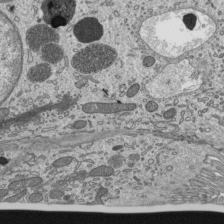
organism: Mouse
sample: Mouse epididymis efferent ductule cilia